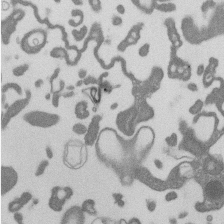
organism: Mouse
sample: Dividing mouse embryo 1 cell stage